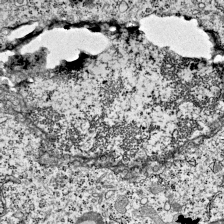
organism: Mouse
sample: Visual Cortex